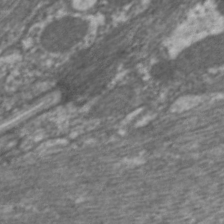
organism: C. elegans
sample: Pharynx